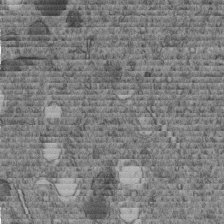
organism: C. elegans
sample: C. elegans embryo early stage